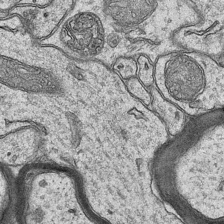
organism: Mouse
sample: CA1 Hippocampus